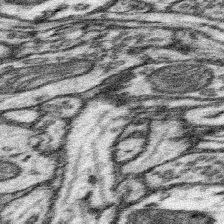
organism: Mouse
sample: Somatosensory cortex neuropil